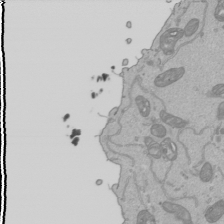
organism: Human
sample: Mitochondria in HCT116 cells